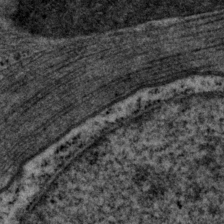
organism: P. pacificus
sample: Pharynx